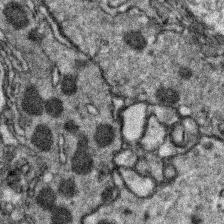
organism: Zebrafish